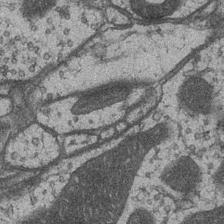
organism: Drosophila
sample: Optic medulla